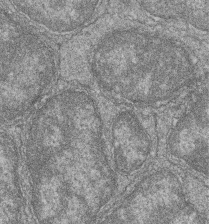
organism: Zebrafish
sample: Cilia; retinal pigment epithelium